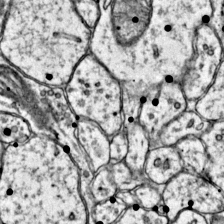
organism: Mouse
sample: Primary visual cortex